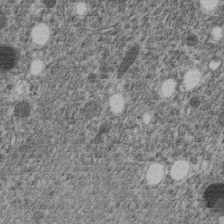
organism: C. elegans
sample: C. elegans embryo early stage